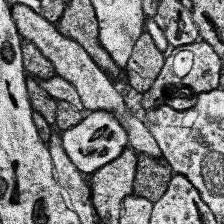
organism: Human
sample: Temporal Lobe